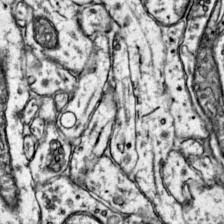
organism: Mouse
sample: Primary visual cortex